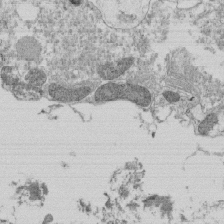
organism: Tetrahymena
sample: Cilia in tetrahymena